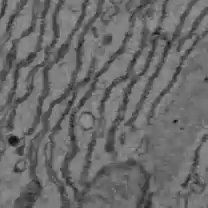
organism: C57BL Mouse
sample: Liver